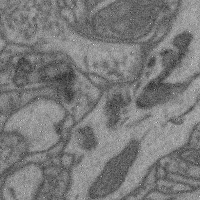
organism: Mouse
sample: Cerebral cortex